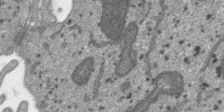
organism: Human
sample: Lung epithelial cells infected with SARS-CoV-2